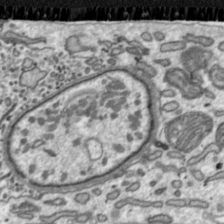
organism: Toxoplasma gondii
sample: Parasites in a vacuole inside a host cell